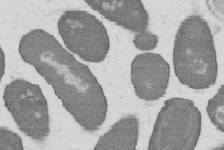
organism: B. subtilis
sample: Bacterial spore